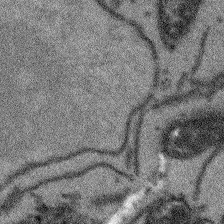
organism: Arabidopsis thaliana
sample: Root tip